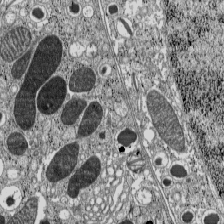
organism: C57BL Mouse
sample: Pancreatic islet